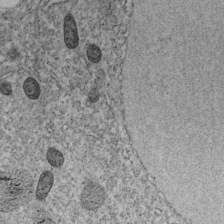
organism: C. elegans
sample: C. elegans embryo early stage